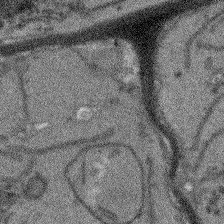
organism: Arabidopsis thaliana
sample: Root tip